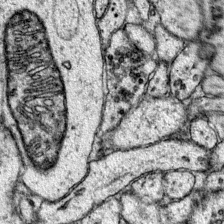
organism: Mouse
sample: Primary visual cortex